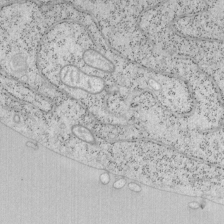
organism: Mouse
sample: OT-I killer T cells with ID8 ovarian cancer cells